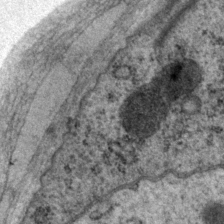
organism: P. pacificus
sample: Pharynx